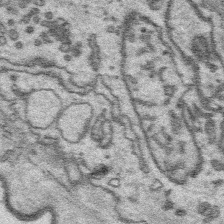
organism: Platynereis dumerilii